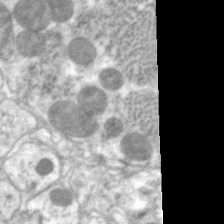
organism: C. elegans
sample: Pharynx